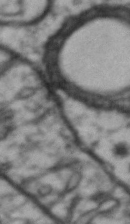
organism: Drosophila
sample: Brain